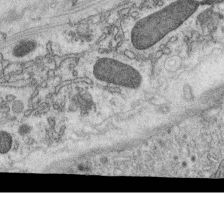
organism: C. elegans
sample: C. elegans oocyte; sperm cells